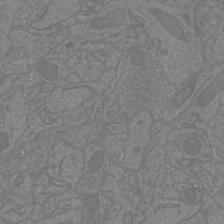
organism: Mouse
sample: Cortical neurons